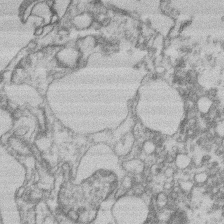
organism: Mouse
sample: T cell stromal cell synapse